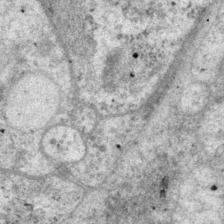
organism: P. pacificus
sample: Pharynx